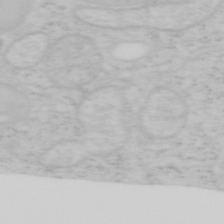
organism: Mouse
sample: OT-I killer T cells with ID8 ovarian cancer cells